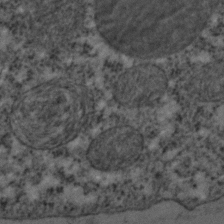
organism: C. elegans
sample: C. elegans embryo